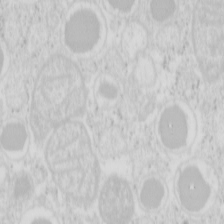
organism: Mouse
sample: Pancreas